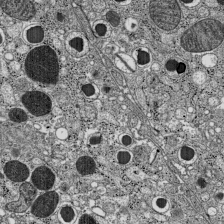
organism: C57BL Mouse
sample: Pancreatic islet